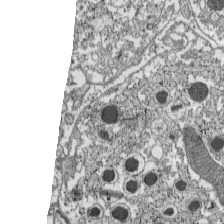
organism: C57BL Mouse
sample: Pancreatic islet